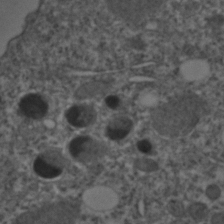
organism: C. elegans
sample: C. elegans embryo